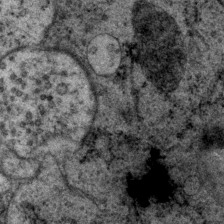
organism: P. pacificus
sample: Pharynx